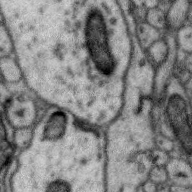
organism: Zebra finch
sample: Brain